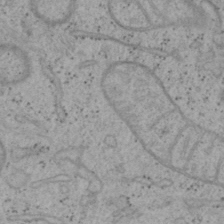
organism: Human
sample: HeLa cells